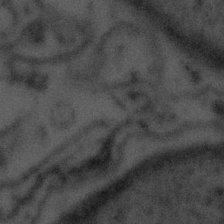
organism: Tuwongella immobilis